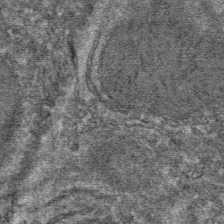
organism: Mouse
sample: Mouse hepatocytes